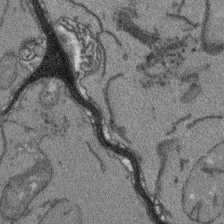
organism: Arabidopsis thaliana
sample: Root tip